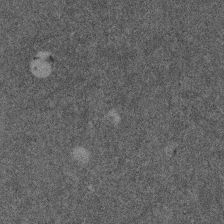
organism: Mouse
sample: Dividing mouse embryo 1 cell stage